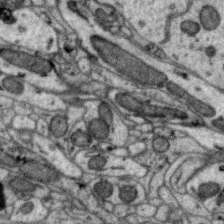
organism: Zebra finch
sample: Brain